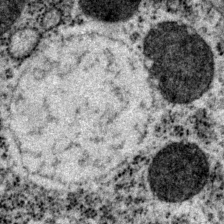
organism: P. pacificus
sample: Pharynx